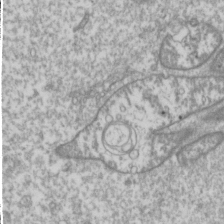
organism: Drosophila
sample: Cell division; meiosis; drosophila spermatocytes